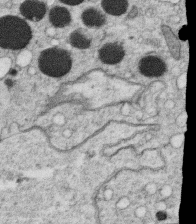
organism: C. elegans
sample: C. elegans oocyte; sperm cells